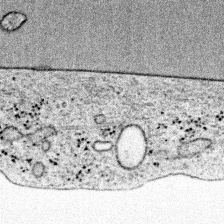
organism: Human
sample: HeLa cells